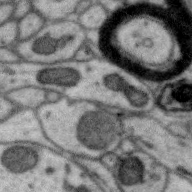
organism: Zebra finch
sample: Brain